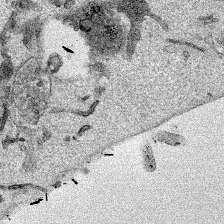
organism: Mouse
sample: Cancer cell death in ED-1 cells